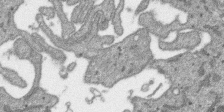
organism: Human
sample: Lung epithelial cells infected with SARS-CoV-2